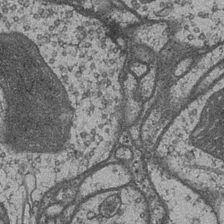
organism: Drosophila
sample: Optic medulla